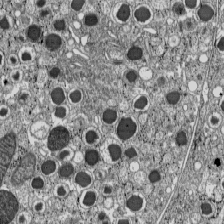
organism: C57BL Mouse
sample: Pancreatic islet